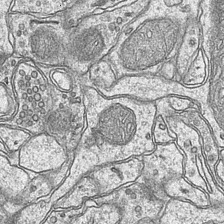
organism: Mouse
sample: CA1 Hippocampus